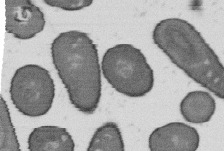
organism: B. subtilis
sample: Bacterial spore